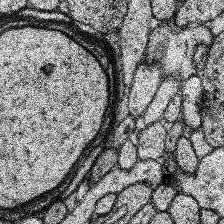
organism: Human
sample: Temporal Lobe